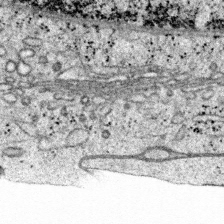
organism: Human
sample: HeLa cells